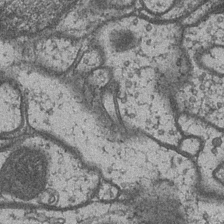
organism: Drosophila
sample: Optic medulla